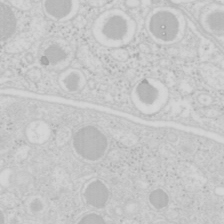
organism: Mouse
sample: Pancreas